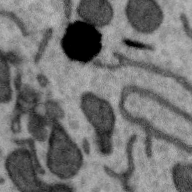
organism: Zebra finch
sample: Brain